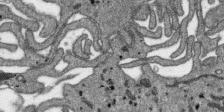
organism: Human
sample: Lung epithelial cells, uninfected (mock) control